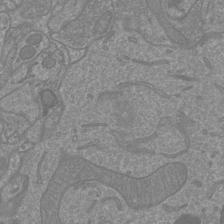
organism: Mouse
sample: Cortical neurons